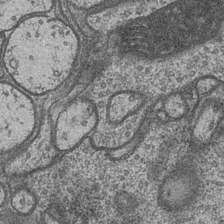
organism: Drosophila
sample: Optic medulla